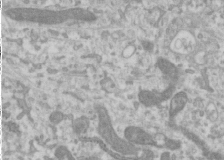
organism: Human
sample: Cilia; basal body in RPE cells